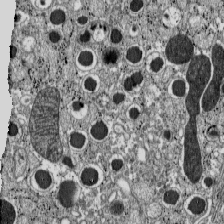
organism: C57BL Mouse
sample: Pancreatic islet